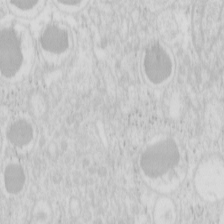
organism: Mouse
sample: Pancreas